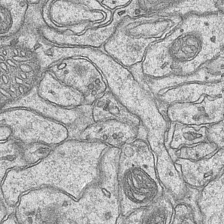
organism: Mouse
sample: CA1 Hippocampus